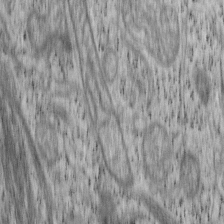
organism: Human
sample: HeLa cells